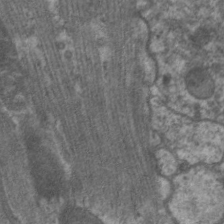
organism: C. elegans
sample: Pharynx